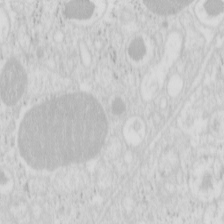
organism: Mouse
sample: Pancreas